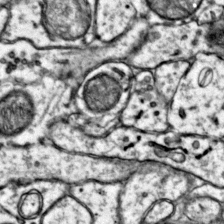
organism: Mouse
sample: Primary visual cortex